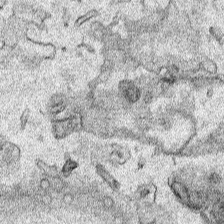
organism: Human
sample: Mitochondria in HCT116 cells